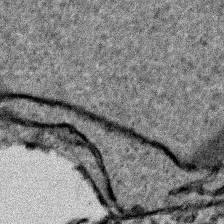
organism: Human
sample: Mitochondria in HCT116 cells